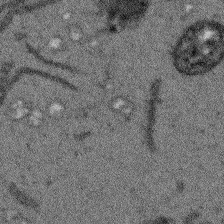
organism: Arabidopsis thaliana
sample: Root tip